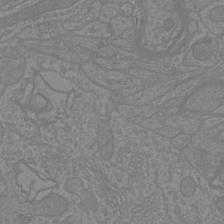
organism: Mouse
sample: Cortical neurons